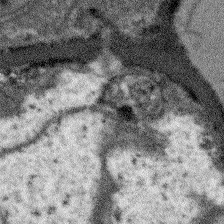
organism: Arabidopsis thaliana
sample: Root tip